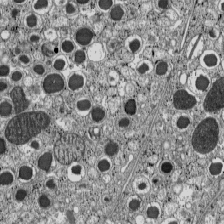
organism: C57BL Mouse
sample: Pancreatic islet